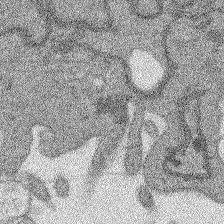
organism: Human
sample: HeLa cells